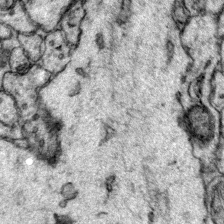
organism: Mouse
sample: Primary visual cortex